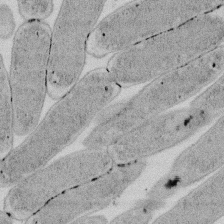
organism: E. coli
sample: Bacterial nucleoid